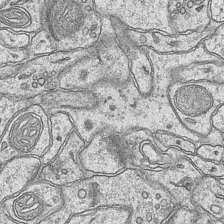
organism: Mouse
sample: CA1 Hippocampus